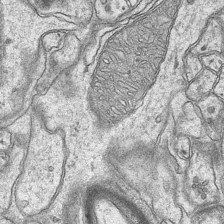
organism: Mouse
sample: CA1 Hippocampus